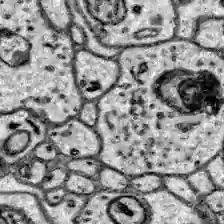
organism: Zebrafish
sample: Brain